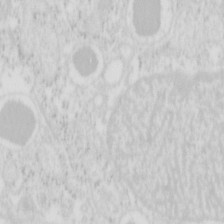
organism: Mouse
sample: Pancreas